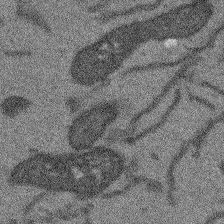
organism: Arabidopsis thaliana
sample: Root tip